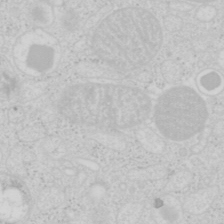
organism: Mouse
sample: Pancreas